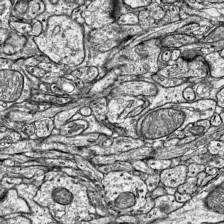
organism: Mouse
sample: Visual Cortex